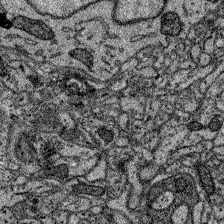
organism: Zebrafish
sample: Larval olfactory bulb